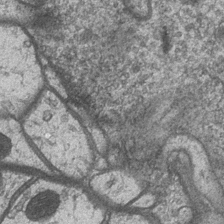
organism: Drosophila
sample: Optic medulla